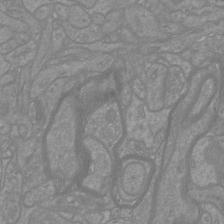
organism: Mouse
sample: Cortical neurons